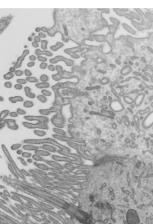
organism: Mouse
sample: Mouse epididymis efferent ductule cilia